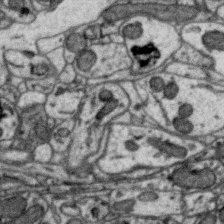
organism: Zebra finch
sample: Brain